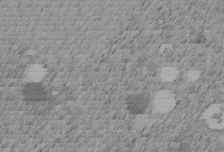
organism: C. elegans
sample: C. elegans embryo early stage